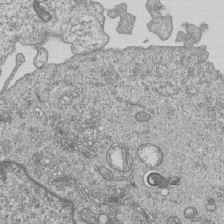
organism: Human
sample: MDA-MB-231 cells